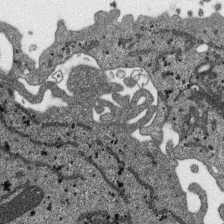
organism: Human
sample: Lung epithelial cells infected with SARS-CoV-2